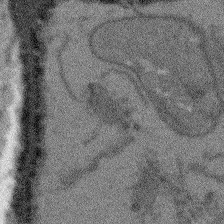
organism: Arabidopsis thaliana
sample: Root tip